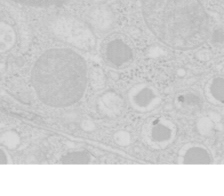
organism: Mouse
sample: Pancreas